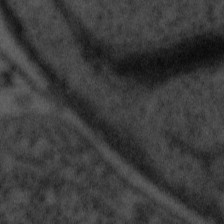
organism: Tuwongella immobilis